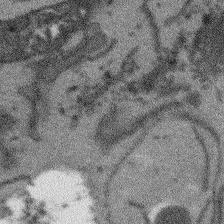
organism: Arabidopsis thaliana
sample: Root tip